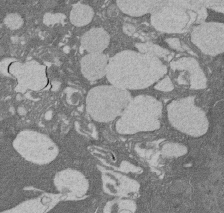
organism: Rat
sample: Salivary granule